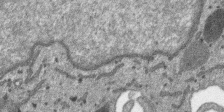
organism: Human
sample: Lung epithelial cells infected with SARS-CoV-2